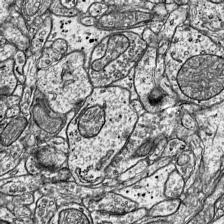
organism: Mouse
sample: Visual Cortex